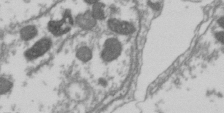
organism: Drosophila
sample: Cell division; meiosis; drosophila spermatocytes